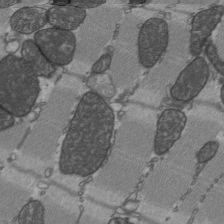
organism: C57BL Mouse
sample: Heart